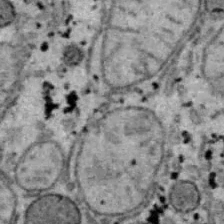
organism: Mouse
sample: Liver from an obese (ob/ob) mouse